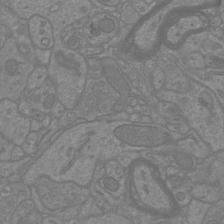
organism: Mouse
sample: Cortical neurons